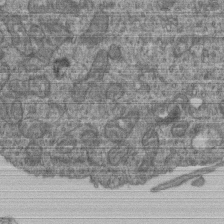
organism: Human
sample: Retinal organoid Rod and Cone cells